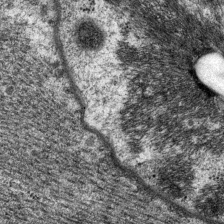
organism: P. pacificus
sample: Pharynx